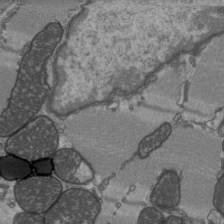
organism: C57BL Mouse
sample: Heart